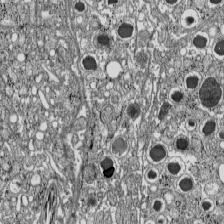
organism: C57BL Mouse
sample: Pancreatic islet